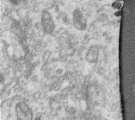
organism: Human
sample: Centriole in RPE cells